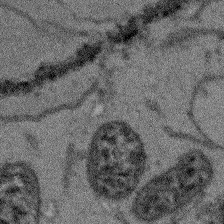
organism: Arabidopsis thaliana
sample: Root tip